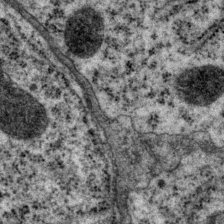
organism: P. pacificus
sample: Pharynx